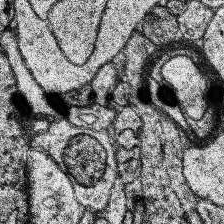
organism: Human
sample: Temporal Lobe